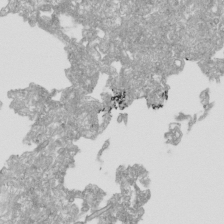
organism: Human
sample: Mitochondria in HCT116 cells